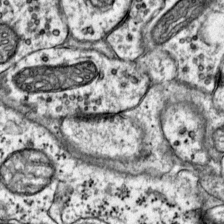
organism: Mouse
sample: Primary visual cortex